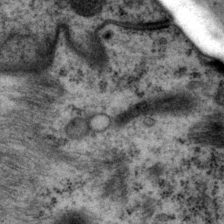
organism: P. pacificus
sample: Pharynx